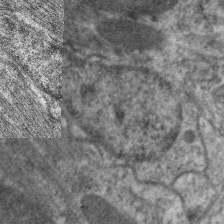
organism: C. elegans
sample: Pharynx